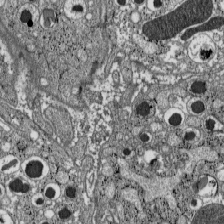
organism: C57BL Mouse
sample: Pancreatic islet